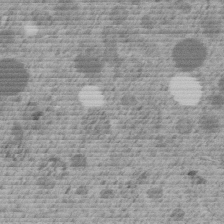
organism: C. elegans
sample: C. elegans embryo early stage